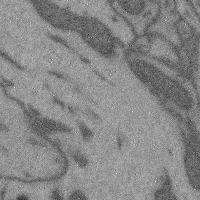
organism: Mouse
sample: Cerebral cortex